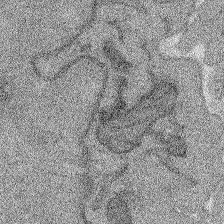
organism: Human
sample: HeLa cells